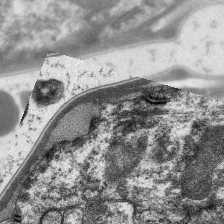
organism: C. elegans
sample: Pharynx